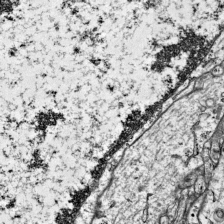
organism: Mouse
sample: Visual Cortex